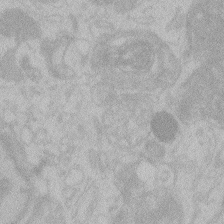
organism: Zebrafish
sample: Macrophage infected with Toxoplasma gondii